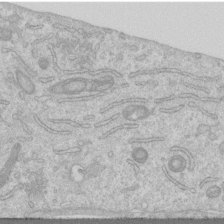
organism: Human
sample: Centriole in RPE cells